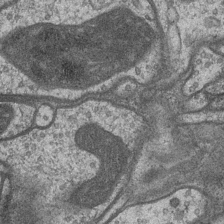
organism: Drosophila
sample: Optic medulla